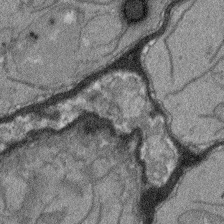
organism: Arabidopsis thaliana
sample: Root tip